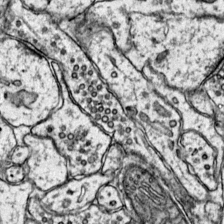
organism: Mouse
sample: Primary visual cortex